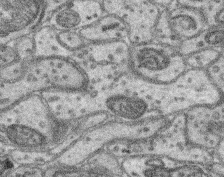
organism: Mouse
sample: Retina